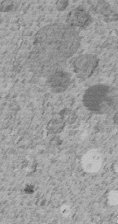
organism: C. elegans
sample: C. elegans embryo early stage